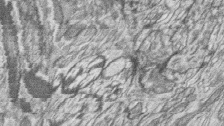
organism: Zebrafish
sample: synaptic ribbons in rod cells and cone cells